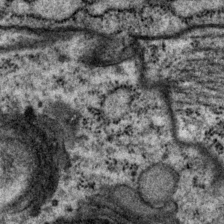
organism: P. pacificus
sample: Pharynx